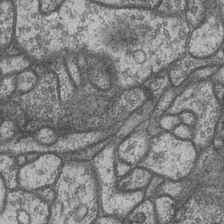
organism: Drosophila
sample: Optic medulla